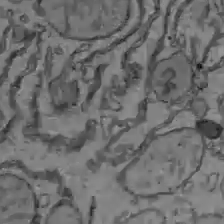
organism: C57BL Mouse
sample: Liver